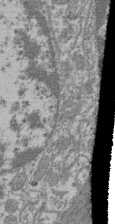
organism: Mouse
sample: Glomerulus